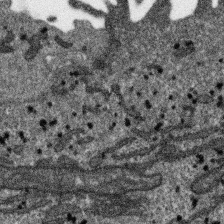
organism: Human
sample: Lung epithelial cells infected with SARS-CoV-2